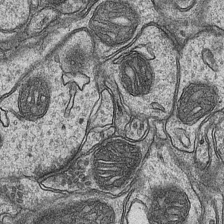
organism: Mouse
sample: CA1 Hippocampus